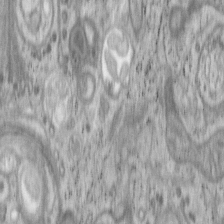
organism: Human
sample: HeLa cells